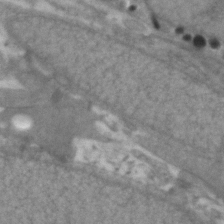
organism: Zebrafish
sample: Zebrafish embryo